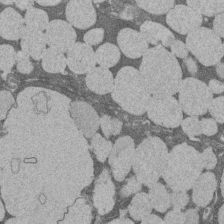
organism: Rat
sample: Salivary granule